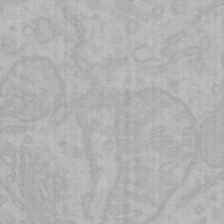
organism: Mouse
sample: Choroid plexus